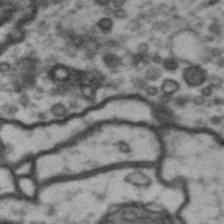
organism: Drosophila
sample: Brain